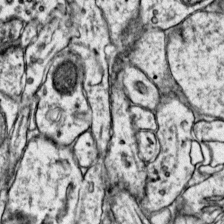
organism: Mouse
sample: Primary visual cortex